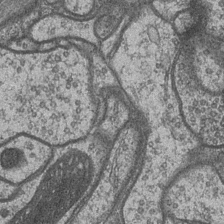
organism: Drosophila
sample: Optic medulla